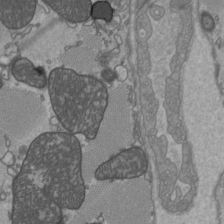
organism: C57BL Mouse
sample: Heart